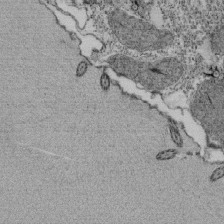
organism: Tetrahymena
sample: Cilia in tetrahymena